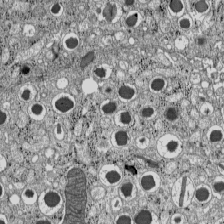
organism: C57BL Mouse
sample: Pancreatic islet